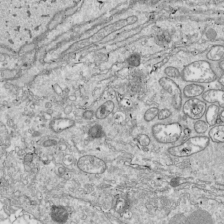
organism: Drosophila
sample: Cell division; meiosis; drosophila spermatocytes